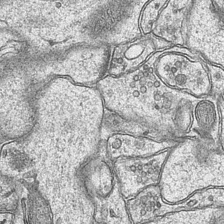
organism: Mouse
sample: CA1 Hippocampus